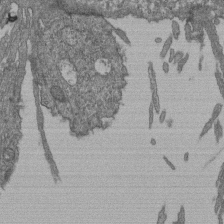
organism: Human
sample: Retinal organoid Rod and Cone cells